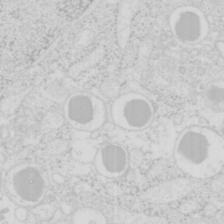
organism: Mouse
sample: Pancreas